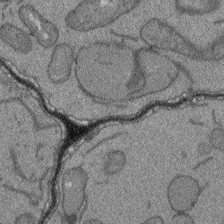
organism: Arabidopsis thaliana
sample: Root tip